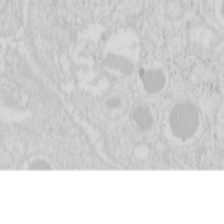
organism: Mouse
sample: Pancreas